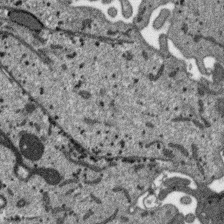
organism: Human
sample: Lung epithelial cells infected with SARS-CoV-2